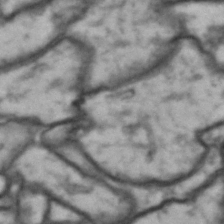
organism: Drosophila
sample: Brain